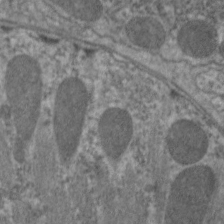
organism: C. elegans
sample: Pharynx